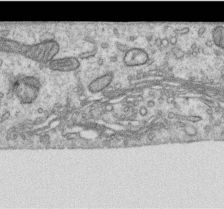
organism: Human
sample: Centriole in RPE cells